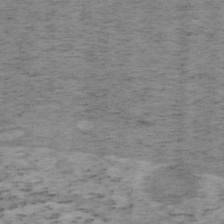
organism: Mouse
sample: OT-I killer T cells with ID8 ovarian cancer cells